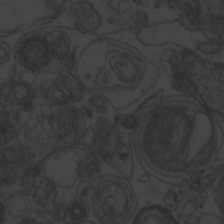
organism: Zebrafish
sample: Macrophage infected with Toxoplasma gondii